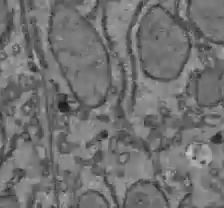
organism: C57BL Mouse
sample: Liver